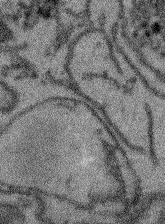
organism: Arabidopsis thaliana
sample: Root tip